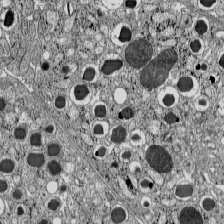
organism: C57BL Mouse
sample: Pancreatic islet